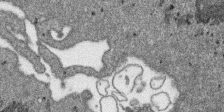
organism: Human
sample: Lung epithelial cells infected with SARS-CoV-2